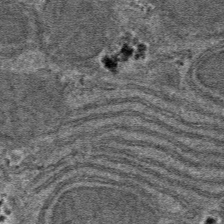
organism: Mouse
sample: Mouse hepatocytes